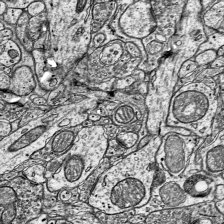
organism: Mouse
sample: Visual Cortex